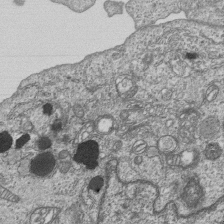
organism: Human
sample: MDA-MB-231 cells